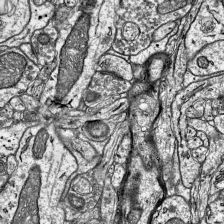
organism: Mouse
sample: Visual Cortex